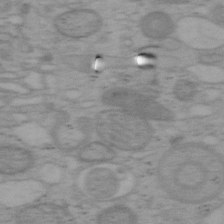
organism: Mouse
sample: OT-I killer T cells with ID8 ovarian cancer cells